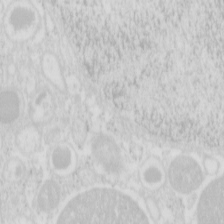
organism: Mouse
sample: Pancreas